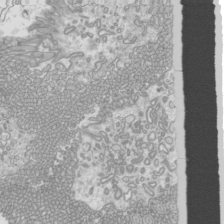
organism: Mouse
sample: Cilia; mouse epididymis